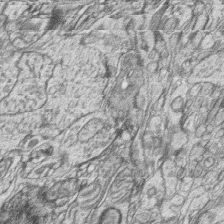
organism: Zebrafish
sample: synaptic ribbons in rod cells and cone cells